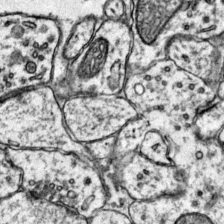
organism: Mouse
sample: Primary visual cortex